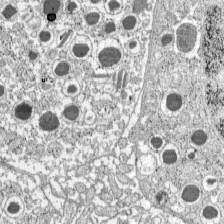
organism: C57BL Mouse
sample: Pancreatic islet